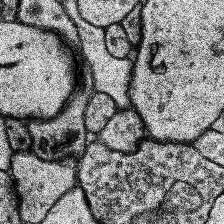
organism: Human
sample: Temporal Lobe